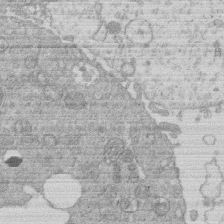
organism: Human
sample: Macrophage cells